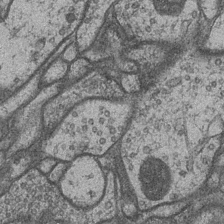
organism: Drosophila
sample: Optic medulla